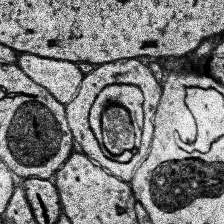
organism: Human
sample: Temporal Lobe